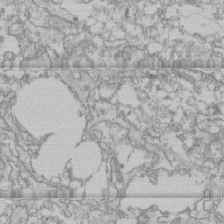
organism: Human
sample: CRL-1474